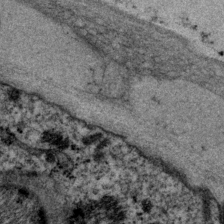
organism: P. pacificus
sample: Pharynx